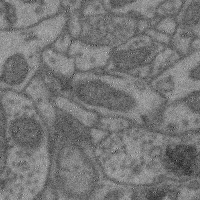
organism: Mouse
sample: Cerebral cortex